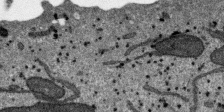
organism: Human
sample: Lung epithelial cells, uninfected (mock) control